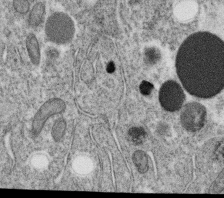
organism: C. elegans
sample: C. elegans oocyte; sperm cells